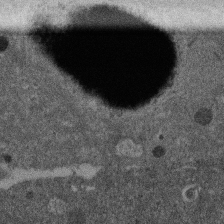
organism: Mouse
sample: Dividing mouse embryo 1 cell stage